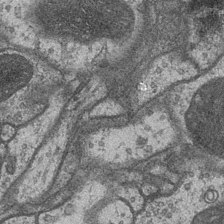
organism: Drosophila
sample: Optic medulla